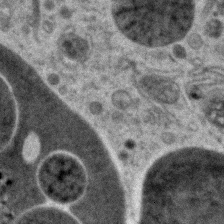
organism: Zebrafish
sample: Zebrafish embryo